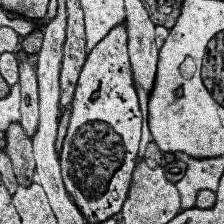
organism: Human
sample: Temporal Lobe